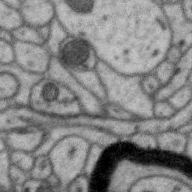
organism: Zebra finch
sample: Brain